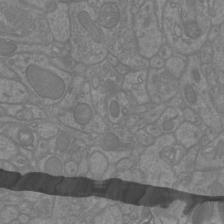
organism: Mouse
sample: Cortical neurons